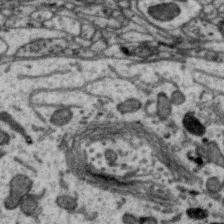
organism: Zebra finch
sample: Brain